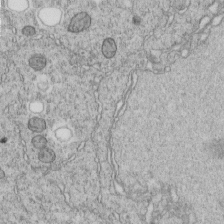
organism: C. elegans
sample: C. elegans embryo early stage